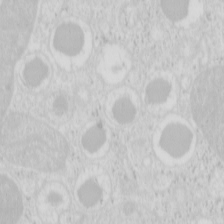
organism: Mouse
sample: Pancreas